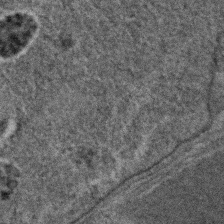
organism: C. elegans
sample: C. elegans embryo